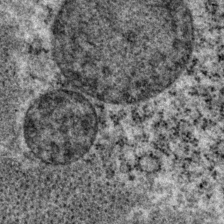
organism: P. pacificus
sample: Pharynx